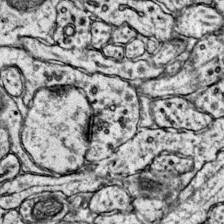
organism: Mouse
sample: Primary visual cortex